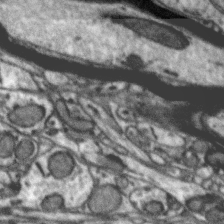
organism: Zebra finch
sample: Brain